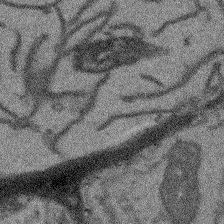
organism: Arabidopsis thaliana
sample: Root tip